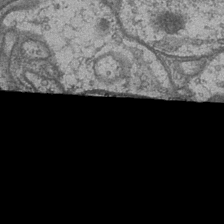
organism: Drosophila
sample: Optic medulla